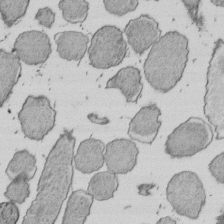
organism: E. coli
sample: Bacterial nucleoid